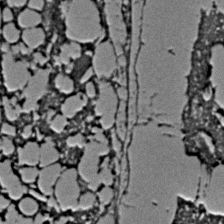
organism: C. elegans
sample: C. elegans embryo